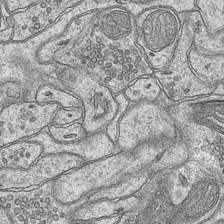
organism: Mouse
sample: CA1 Hippocampus